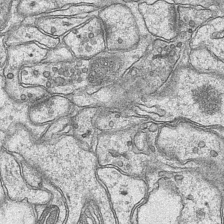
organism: Mouse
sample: CA1 Hippocampus